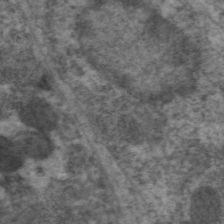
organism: C. elegans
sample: Pharynx